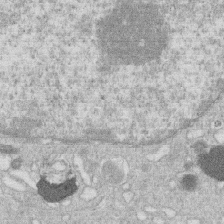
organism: Human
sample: Macrophage cells